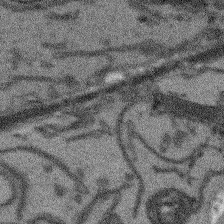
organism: Arabidopsis thaliana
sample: Root tip